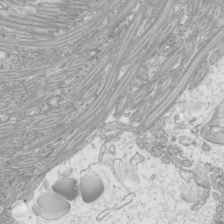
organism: Mouse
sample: Cilia; mouse epididymis